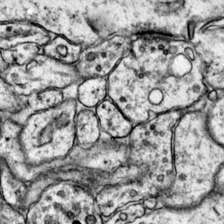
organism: Mouse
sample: Primary visual cortex